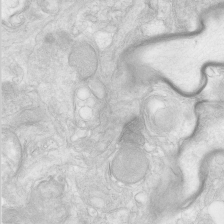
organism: Human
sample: Neocortex